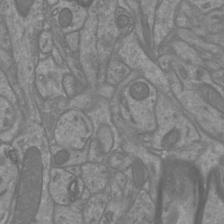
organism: Mouse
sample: Cortical neurons